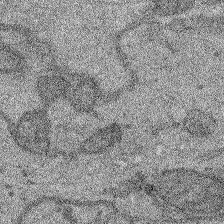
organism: Human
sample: HeLa cells